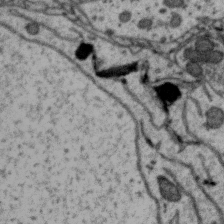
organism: Zebra finch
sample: Brain